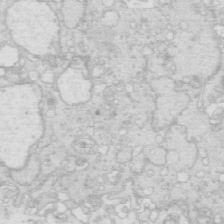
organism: Mouse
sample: Multiciliated cells